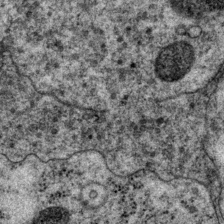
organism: P. pacificus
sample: Pharynx